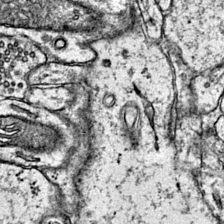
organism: Mouse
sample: Primary visual cortex